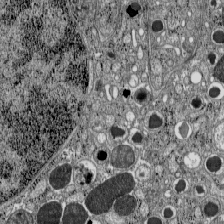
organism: C57BL Mouse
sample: Pancreatic islet